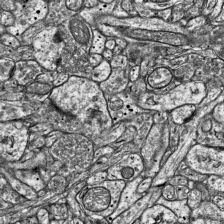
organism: Mouse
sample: Visual Cortex